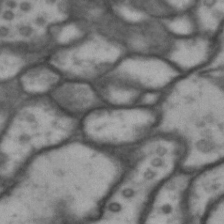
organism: Drosophila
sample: Brain